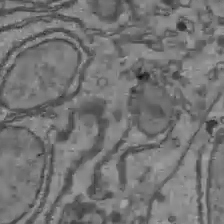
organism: C57BL Mouse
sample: Liver